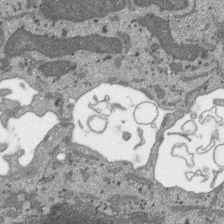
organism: Human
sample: Lung epithelial cells infected with SARS-CoV-2